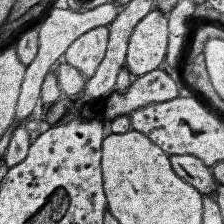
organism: Human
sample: Temporal Lobe